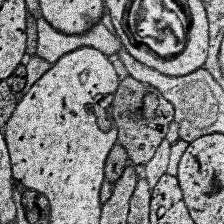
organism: Human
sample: Temporal Lobe